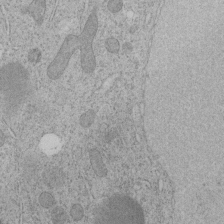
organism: C. elegans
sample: C. elegans embryo early stage